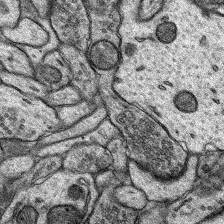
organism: Rat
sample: Hippocampus